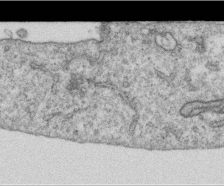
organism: Human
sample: Centriole in RPE cells